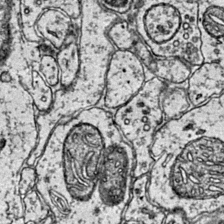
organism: Mouse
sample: Primary visual cortex